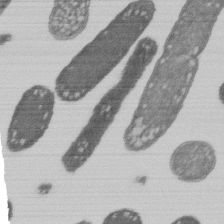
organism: E. coli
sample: Bacterial nucleoid